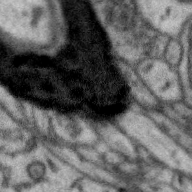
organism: Zebra finch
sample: Brain